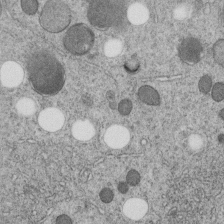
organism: C. elegans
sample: C. elegans embryo early stage